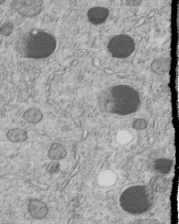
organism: C. elegans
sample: C. elegans embryo early stage